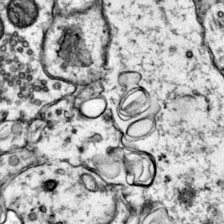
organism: Mouse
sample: Primary visual cortex